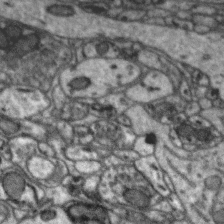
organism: Zebra finch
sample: Brain